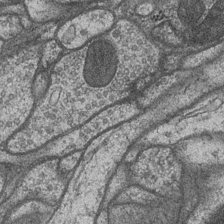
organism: Drosophila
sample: Optic medulla